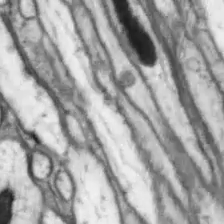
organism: Drosophila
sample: Optic lobe